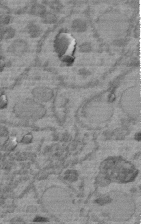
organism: C. elegans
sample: C. elegans embryo early stage